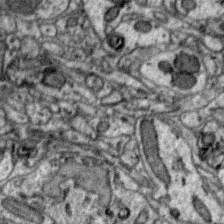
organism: Zebra finch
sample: Brain